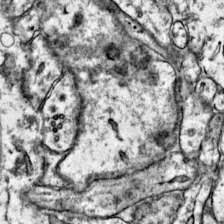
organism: Mouse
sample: Primary visual cortex